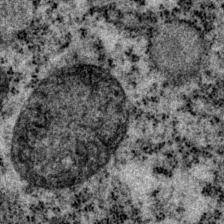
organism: P. pacificus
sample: Pharynx